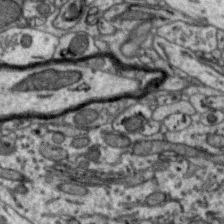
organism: Zebra finch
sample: Brain